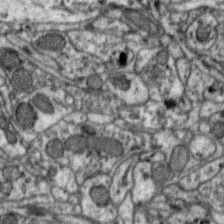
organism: Zebra finch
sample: Brain